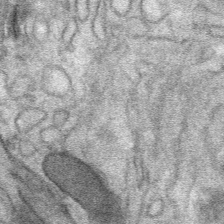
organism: Mouse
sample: Mouse Salivary gland